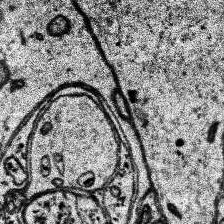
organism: Human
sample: Temporal Lobe